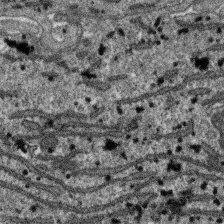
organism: Human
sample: Lung epithelial cells infected with SARS-CoV-2